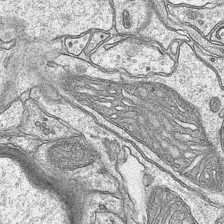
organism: Mouse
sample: CA1 Hippocampus